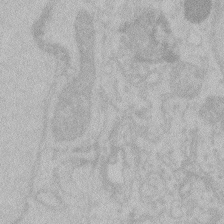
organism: Zebrafish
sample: Macrophage infected with Toxoplasma gondii